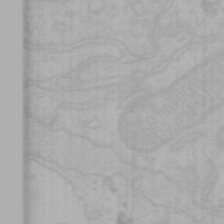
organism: Mouse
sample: Choroid plexus